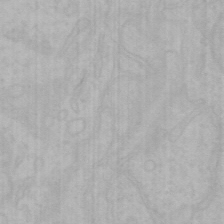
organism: Mouse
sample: Choroid plexus